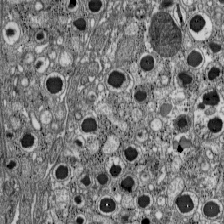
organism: C57BL Mouse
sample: Pancreatic islet